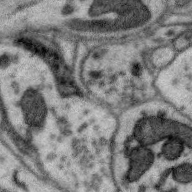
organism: Zebra finch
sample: Brain